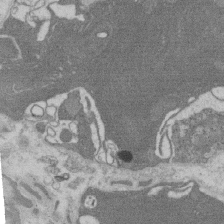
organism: Rat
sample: Salivary granule